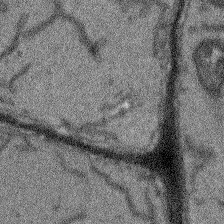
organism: Arabidopsis thaliana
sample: Root tip